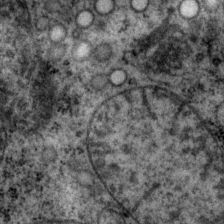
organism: P. pacificus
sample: Pharynx